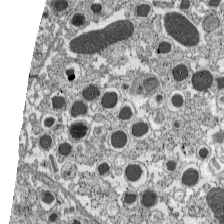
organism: C57BL Mouse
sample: Pancreatic islet